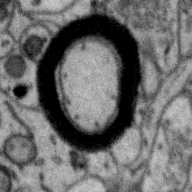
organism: Zebra finch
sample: Brain